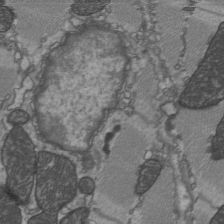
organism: C57BL Mouse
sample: Heart